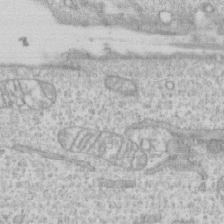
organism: Human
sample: CRL-1474